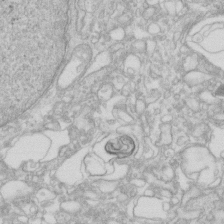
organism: Human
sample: Fibroblast cells